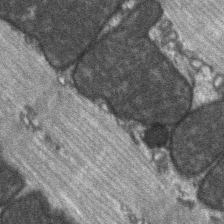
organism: C57BL Mouse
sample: Soleus